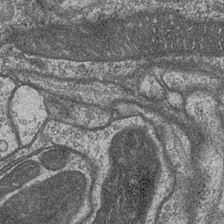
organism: Drosophila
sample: Optic medulla